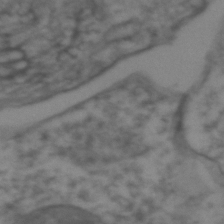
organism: Zebrafish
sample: Zebrafish embryo